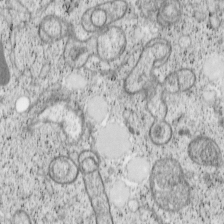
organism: African green monkey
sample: COS-7 cells